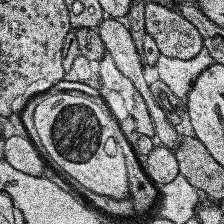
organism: Human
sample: Temporal Lobe